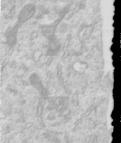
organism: Human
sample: Centriole in RPE cells